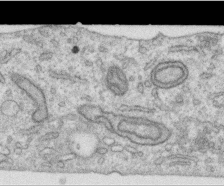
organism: Human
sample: Centriole in RPE cells